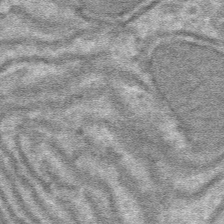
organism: Mouse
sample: Mouse hepatocytes